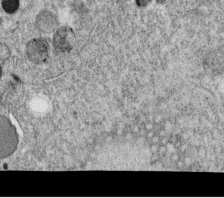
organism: C. elegans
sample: C. elegans oocyte; sperm cells